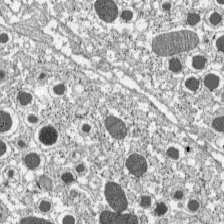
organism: C57BL Mouse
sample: Pancreatic islet